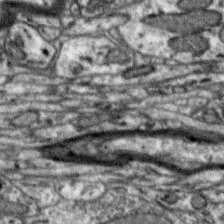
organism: Zebra finch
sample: Brain